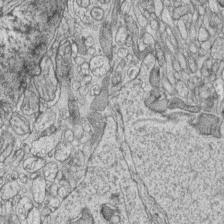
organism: Zebrafish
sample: synaptic ribbons in rod cells and cone cells